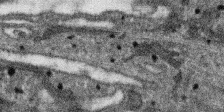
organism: Human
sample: Lung epithelial cells infected with SARS-CoV-2